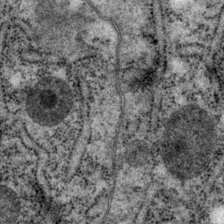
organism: P. pacificus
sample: Pharynx